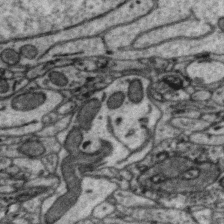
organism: Zebra finch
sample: Brain